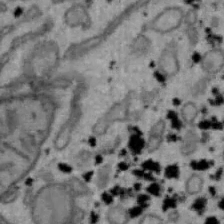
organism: Mouse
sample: Liver